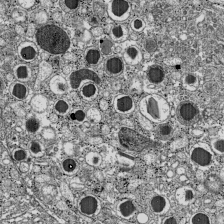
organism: C57BL Mouse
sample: Pancreatic islet